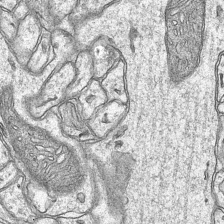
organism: Mouse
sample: CA1 Hippocampus